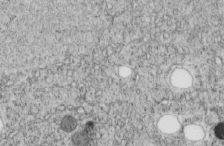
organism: C. elegans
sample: C. elegans embryo early stage